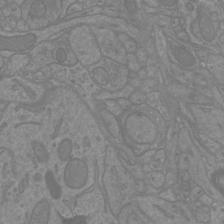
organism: Mouse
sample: Cortical neurons